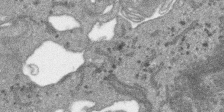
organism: Human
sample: Lung epithelial cells infected with SARS-CoV-2